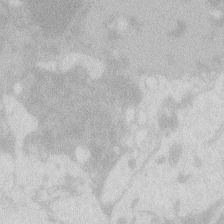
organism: Zebrafish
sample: Macrophage